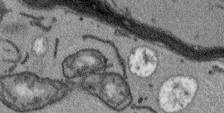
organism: Arabidopsis thaliana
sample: Root tip